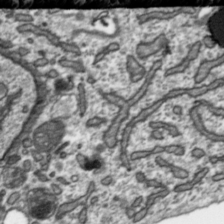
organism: Toxoplasma gondii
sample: Parasites in a vacuole inside a host cell